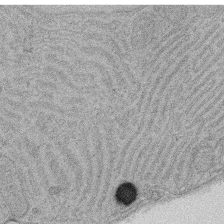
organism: Rat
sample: Salivary granule